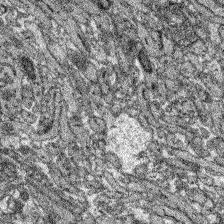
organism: Zebrafish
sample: Larval olfactory bulb